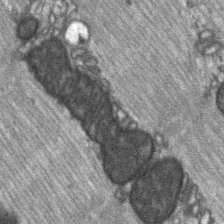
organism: C57BL Mouse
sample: Soleus